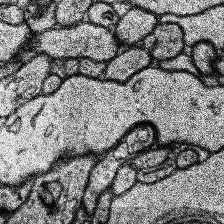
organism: Human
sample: Temporal Lobe